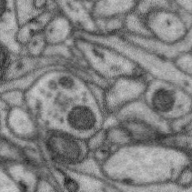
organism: Zebra finch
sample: Brain